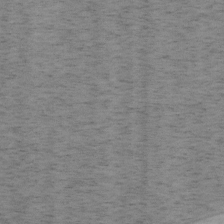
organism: Mouse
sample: OT-I killer T cells with ID8 ovarian cancer cells